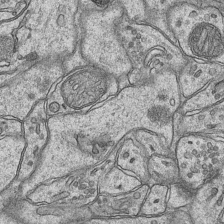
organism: Mouse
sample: CA1 Hippocampus